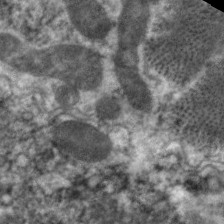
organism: C. elegans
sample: Pharynx